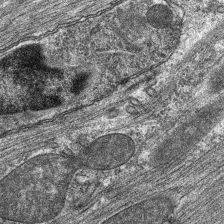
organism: C. elegans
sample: Pharynx